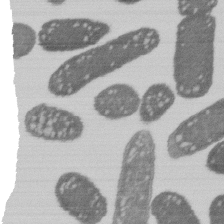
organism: E. coli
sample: Bacterial nucleoid